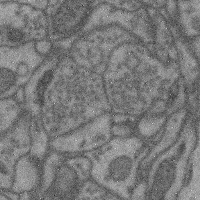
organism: Mouse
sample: Cerebral cortex